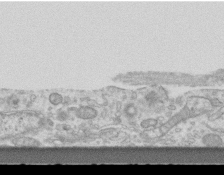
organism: Mouse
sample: Centriole in ependymal cells